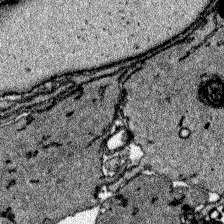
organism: Zebrafish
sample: Larval olfactory bulb